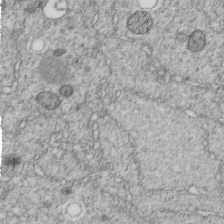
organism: C. elegans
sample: C. elegans embryo early stage